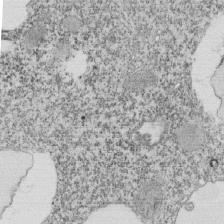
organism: Tetrahymena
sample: Cilia in tetrahymena